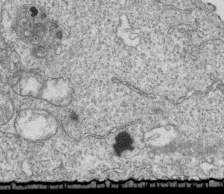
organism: Human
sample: HeLa cell HIV synapse